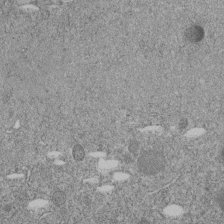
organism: C. elegans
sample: C. elegans embryo early stage